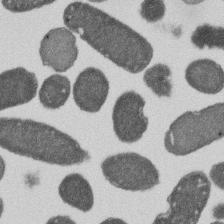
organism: E. coli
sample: Bacterial nucleoid